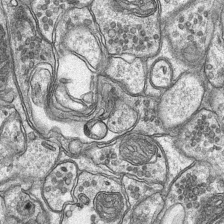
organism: Mouse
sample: CA1 Hippocampus